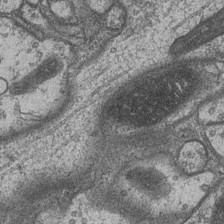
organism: Drosophila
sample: Optic medulla